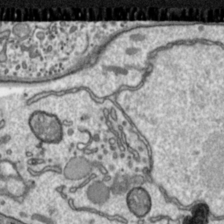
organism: Toxoplasma gondii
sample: Parasites in a vacuole inside a host cell